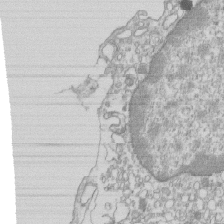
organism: Mouse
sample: Macrophages